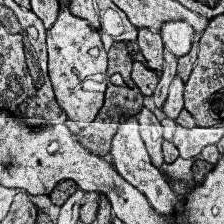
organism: Human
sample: Temporal Lobe